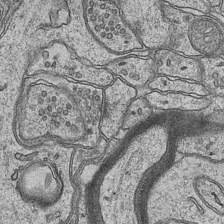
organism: Mouse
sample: CA1 Hippocampus